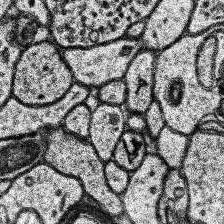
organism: Human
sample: Temporal Lobe